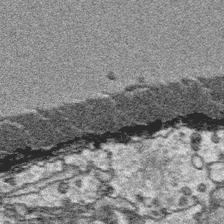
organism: Platynereis dumerilii